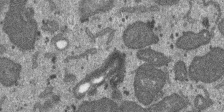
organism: Human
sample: Lung epithelial cells infected with SARS-CoV-2